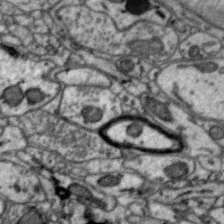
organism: Zebra finch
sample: Brain